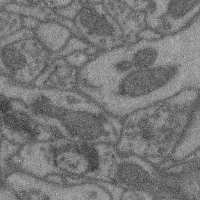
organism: Mouse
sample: Cerebral cortex